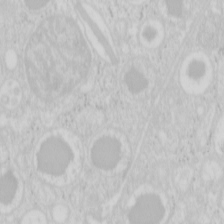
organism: Mouse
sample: Pancreas